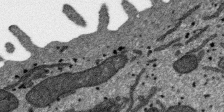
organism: Human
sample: Lung epithelial cells, uninfected (mock) control